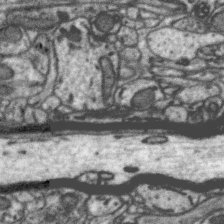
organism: Zebra finch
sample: Brain